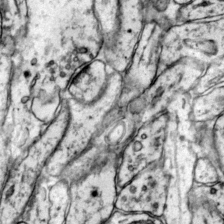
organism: Mouse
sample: Primary visual cortex